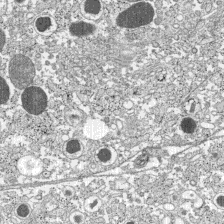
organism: C57BL Mouse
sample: Pancreatic islet